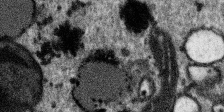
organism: Human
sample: Lung epithelial cells infected with SARS-CoV-2